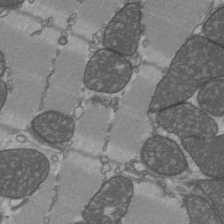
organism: C57BL Mouse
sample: Heart